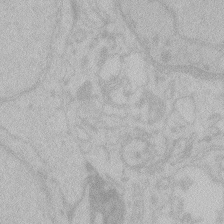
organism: Zebrafish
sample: Macrophage infected with Toxoplasma gondii